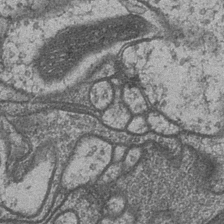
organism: Drosophila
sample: Optic medulla